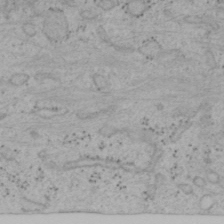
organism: Human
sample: HeLa cells